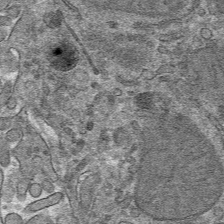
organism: Mouse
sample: Mouse hepatocytes